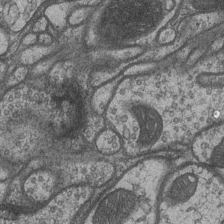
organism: Drosophila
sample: Optic medulla